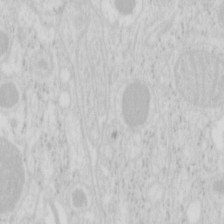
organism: Mouse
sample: Pancreas